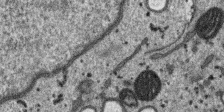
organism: Human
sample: Lung epithelial cells infected with SARS-CoV-2